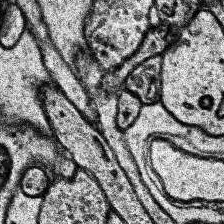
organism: Human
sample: Temporal Lobe